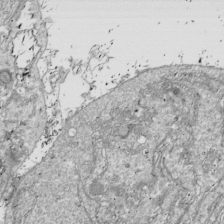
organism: Drosophila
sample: Cell division; meiosis; drosophila spermatocytes